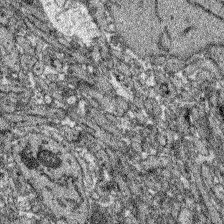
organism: Zebrafish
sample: Larval olfactory bulb